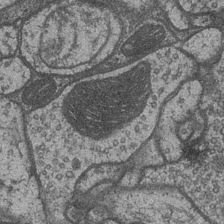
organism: Drosophila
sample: Optic medulla